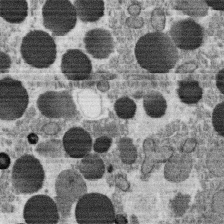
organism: C. elegans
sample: C. elegans oocyte; sperm cells